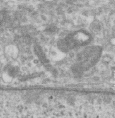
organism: Human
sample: Centriole in RPE cells